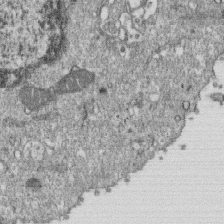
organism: African green monkey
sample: Vero E6 cells infected with SARS-CoV-2